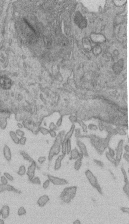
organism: Human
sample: Retinal organoid Rod and Cone cells